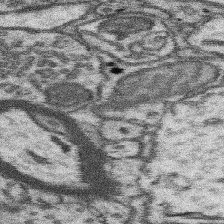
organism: Mouse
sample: Somatosensory cortex neuropil